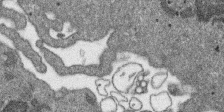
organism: Human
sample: Lung epithelial cells infected with SARS-CoV-2